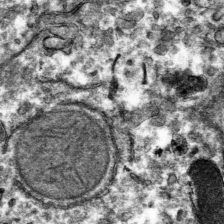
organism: Mouse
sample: Mouse hepatocytes